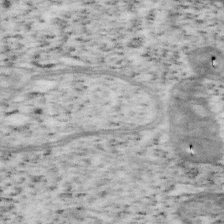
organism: Mouse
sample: OT-I killer T cells with ID8 ovarian cancer cells